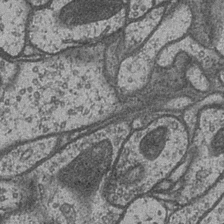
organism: Drosophila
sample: Optic medulla